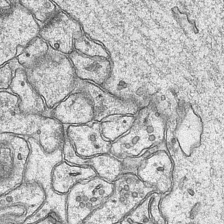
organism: Mouse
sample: CA1 Hippocampus